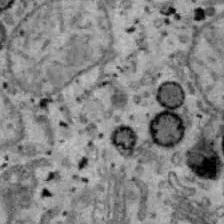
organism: Mouse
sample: Liver from an obese (ob/ob) mouse